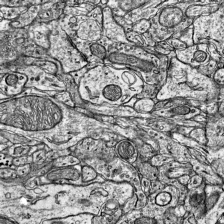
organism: Mouse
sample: Visual Cortex